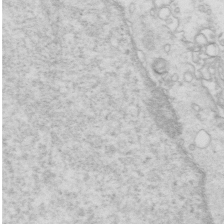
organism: Mouse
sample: Multiciliated cells